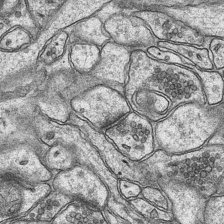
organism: Mouse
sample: CA1 Hippocampus